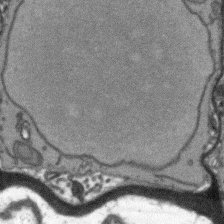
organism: Arabidopsis thaliana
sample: Root tip